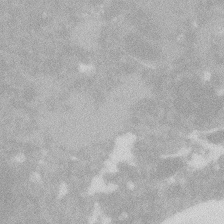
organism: Zebrafish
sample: Macrophage